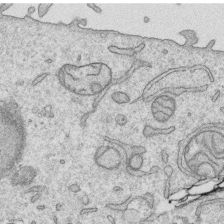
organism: Human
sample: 1205lu cells